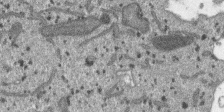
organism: Human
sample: Lung epithelial cells infected with SARS-CoV-2